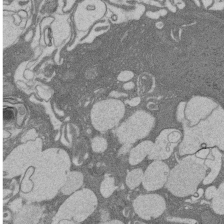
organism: Rat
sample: Salivary granule